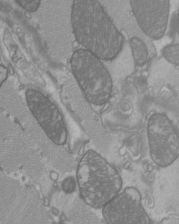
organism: C57BL Mouse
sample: Heart